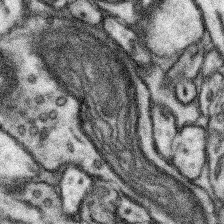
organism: Mouse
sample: Somatosensory cortex neuropil